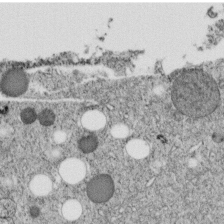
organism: C. elegans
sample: C. elegans embryo early stage